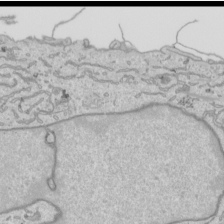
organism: Human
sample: Mitochondria in HCT116 cells